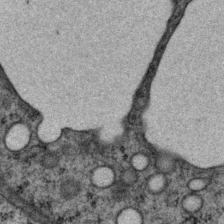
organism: P. pacificus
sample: Pharynx